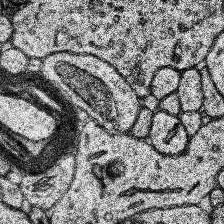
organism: Human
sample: Temporal Lobe